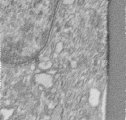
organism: Human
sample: Centriole in RPE cells